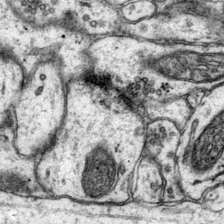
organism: Mouse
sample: Primary visual cortex